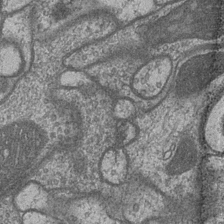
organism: Drosophila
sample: Optic medulla